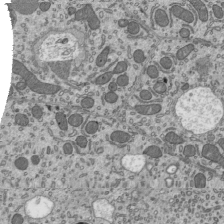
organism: Mouse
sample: Mouse epididymis efferent ductule cilia